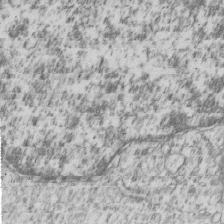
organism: Human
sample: MDA-MB-231 cells